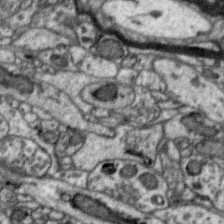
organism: Zebra finch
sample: Brain